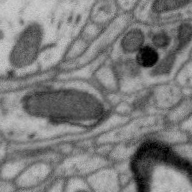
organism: Zebra finch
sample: Brain